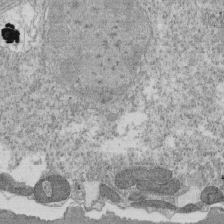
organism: Tetrahymena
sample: Cilia in tetrahymena